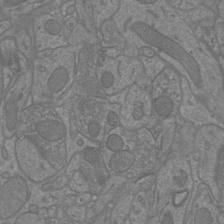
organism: Mouse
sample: Cortical neurons